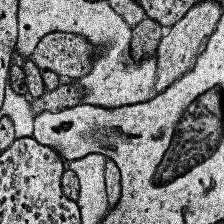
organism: Human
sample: Temporal Lobe